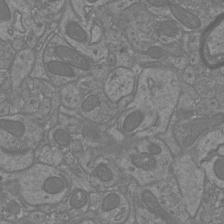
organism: Mouse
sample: Cortical neurons